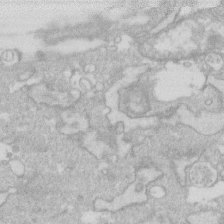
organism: Human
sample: Fibroblast cells